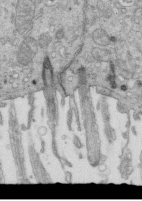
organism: Mouse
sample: Multiciliated cells